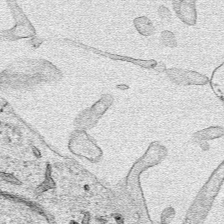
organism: Human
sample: Mitochondria in HCT116 cells